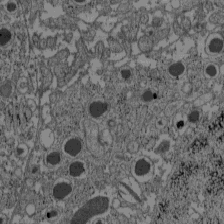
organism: C57BL Mouse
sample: Pancreatic islet